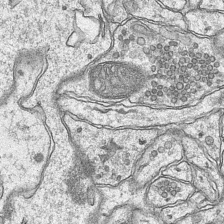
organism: Mouse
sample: CA1 Hippocampus